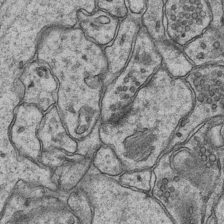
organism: Mouse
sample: CA1 Hippocampus